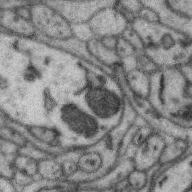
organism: Zebra finch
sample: Brain